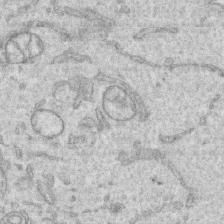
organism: Human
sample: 1205lu cells